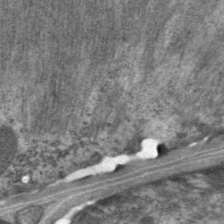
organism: C. elegans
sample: Pharynx